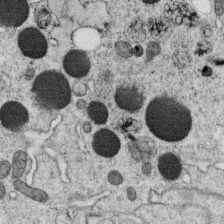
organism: C. elegans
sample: C. elegans oocyte; sperm cells